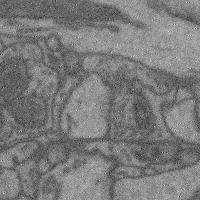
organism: Mouse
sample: Cerebral cortex